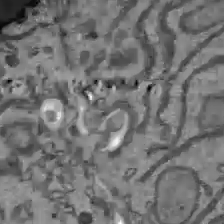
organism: C57BL Mouse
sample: Liver